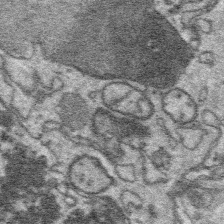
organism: Platynereis dumerilii